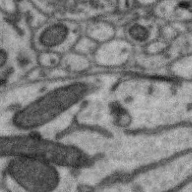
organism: Zebra finch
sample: Brain